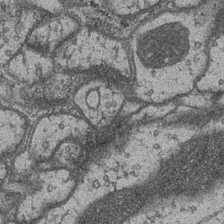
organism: Drosophila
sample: Optic medulla